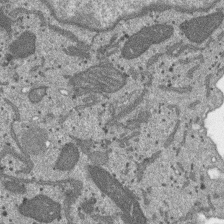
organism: Human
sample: Lung epithelial cells infected with SARS-CoV-2